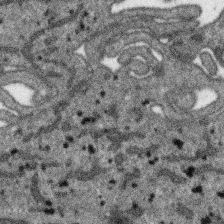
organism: Human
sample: Lung epithelial cells infected with SARS-CoV-2